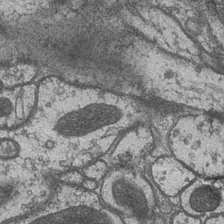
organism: Drosophila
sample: Optic medulla